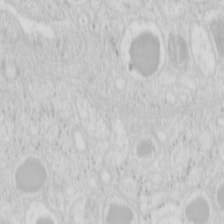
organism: Mouse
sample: Pancreas